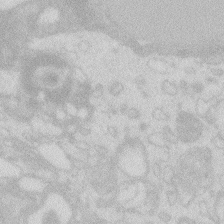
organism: Zebrafish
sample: Macrophage